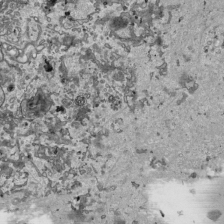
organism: Human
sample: Mitochondria in HCT116 cells